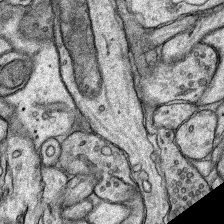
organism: Rat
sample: Hippocampus